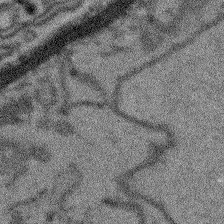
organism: Arabidopsis thaliana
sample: Root tip